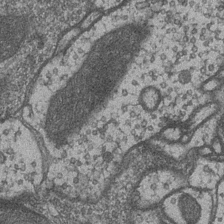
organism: Drosophila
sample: Optic medulla